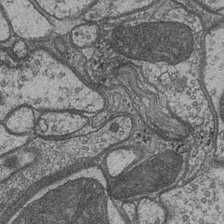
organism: Drosophila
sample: Optic medulla